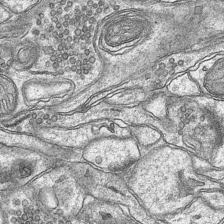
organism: Mouse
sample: CA1 Hippocampus